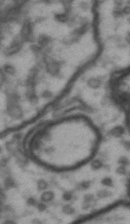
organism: Drosophila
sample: Brain